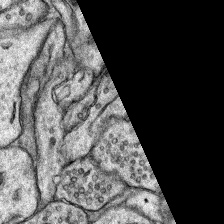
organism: Rat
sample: Hippocampus